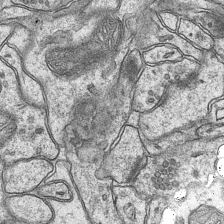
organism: Mouse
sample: CA1 Hippocampus